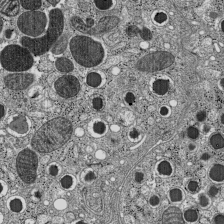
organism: C57BL Mouse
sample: Pancreatic islet